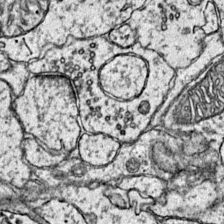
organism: Mouse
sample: Primary visual cortex